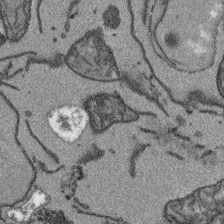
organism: Arabidopsis thaliana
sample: Root tip